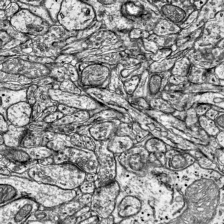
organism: Mouse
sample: Visual Cortex